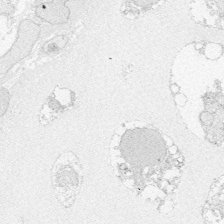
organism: Zebrafish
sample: Whole-Brain